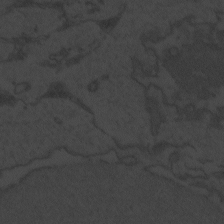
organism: Zebrafish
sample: Macrophage infected with Toxoplasma gondii